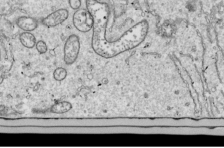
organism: Drosophila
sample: Cell division; meiosis; drosophila spermatocytes